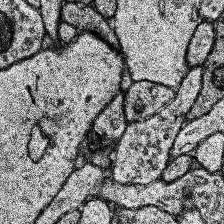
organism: Human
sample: Temporal Lobe